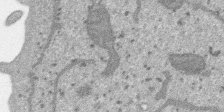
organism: Human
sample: Lung epithelial cells infected with SARS-CoV-2